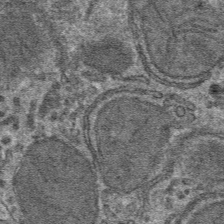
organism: Mouse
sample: Mouse hepatocytes